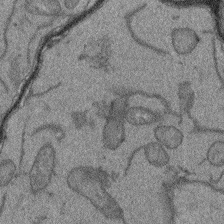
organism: Arabidopsis thaliana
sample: Root tip